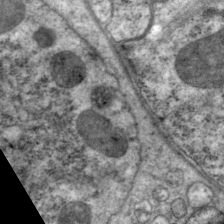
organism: C. elegans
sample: Pharynx